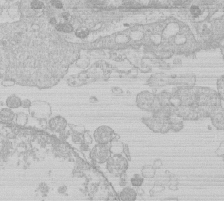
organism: Human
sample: Macrophage cells